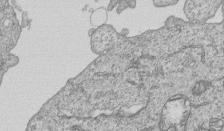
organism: Human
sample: MDA-MB-231 cells